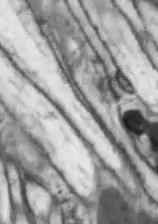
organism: Drosophila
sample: Optic lobe